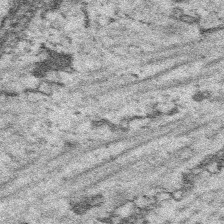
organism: Platynereis dumerilii